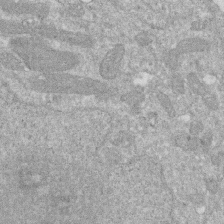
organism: Human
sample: HIV infected U937 cells